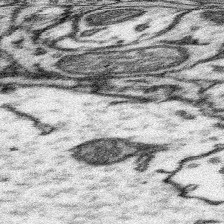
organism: Mouse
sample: Somatosensory cortex neuropil